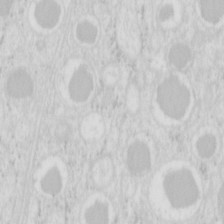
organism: Mouse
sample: Pancreas